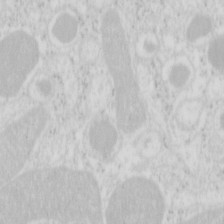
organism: Mouse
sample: Pancreas